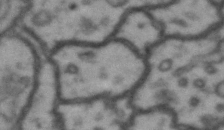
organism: Drosophila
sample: Brain